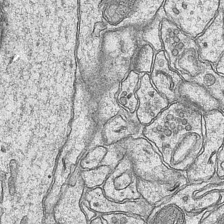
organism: Mouse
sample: CA1 Hippocampus